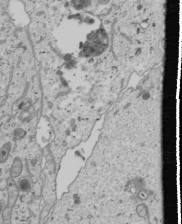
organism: Human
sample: Mitochondria in U2OS cells